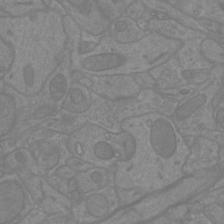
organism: Mouse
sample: Cortical neurons